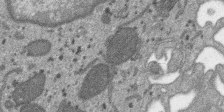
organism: Human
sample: Lung epithelial cells infected with SARS-CoV-2